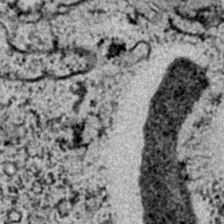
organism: C. elegans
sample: C. elegans embryo